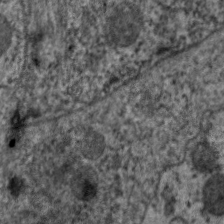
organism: C. elegans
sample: Pharynx